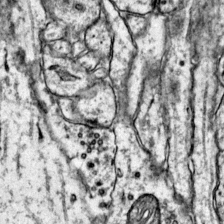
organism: Mouse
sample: Primary visual cortex